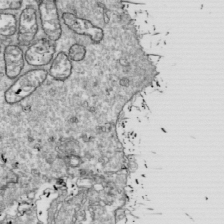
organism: Drosophila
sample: Cell division; meiosis; drosophila spermatocytes